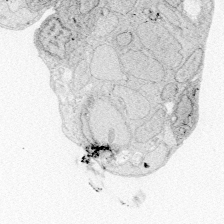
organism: Zebrafish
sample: Whole-Brain